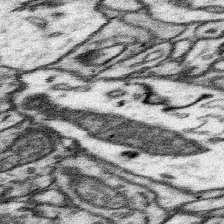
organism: Mouse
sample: Somatosensory cortex neuropil